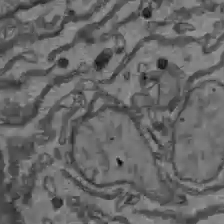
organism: C57BL Mouse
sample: Liver